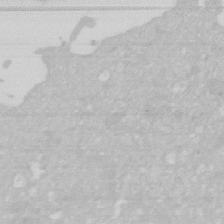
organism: Human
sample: HIV infected U937 cells